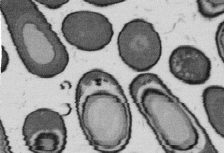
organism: B. subtilis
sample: Bacterial spore